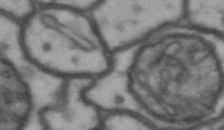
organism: Drosophila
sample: Brain